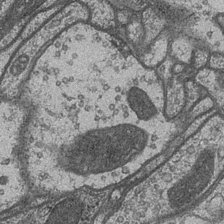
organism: Drosophila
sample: Optic medulla